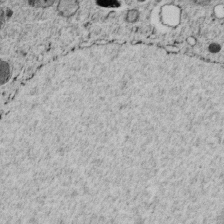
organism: C. elegans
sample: C. elegans embryo early stage